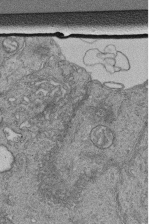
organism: Human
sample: Retinal organoid Rod and Cone cells